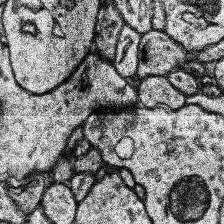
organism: Human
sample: Temporal Lobe